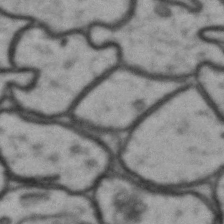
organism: Drosophila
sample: Brain